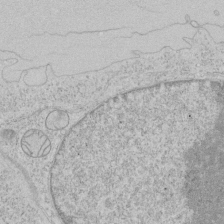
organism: Human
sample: Mitochondria in HCT116 cells